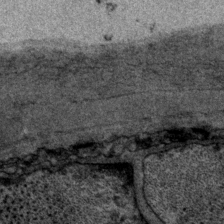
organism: P. pacificus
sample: Pharynx